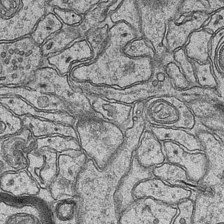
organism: Mouse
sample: CA1 Hippocampus